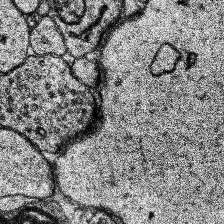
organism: Human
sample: Temporal Lobe